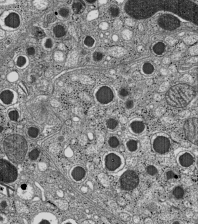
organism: C57BL Mouse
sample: Pancreatic islet